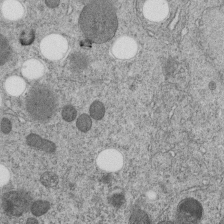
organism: C. elegans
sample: C. elegans embryo early stage